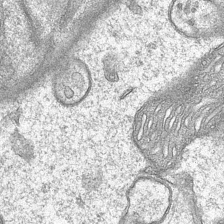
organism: Mouse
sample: CA1 Hippocampus